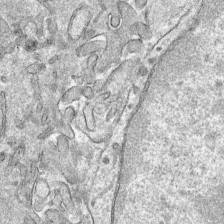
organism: Mouse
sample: Mouse hepatocytes